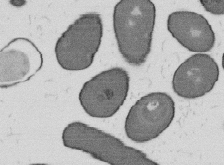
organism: B. subtilis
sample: Bacterial spore